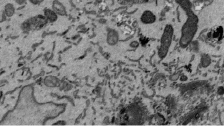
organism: Mouse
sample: ED-1 cell nuclei; centrioles